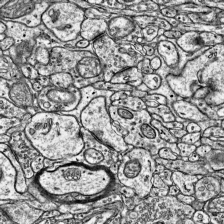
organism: Mouse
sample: Visual Cortex